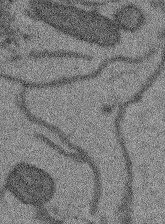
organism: Arabidopsis thaliana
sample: Root tip